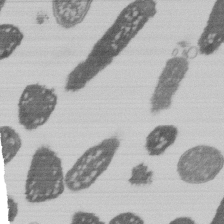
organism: E. coli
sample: Bacterial nucleoid